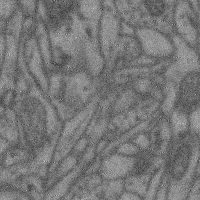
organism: Mouse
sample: Cerebral cortex